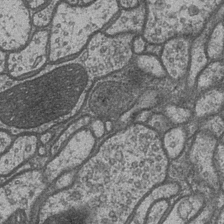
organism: Drosophila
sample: Optic medulla